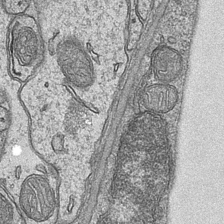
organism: Mouse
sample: CA1 Hippocampus